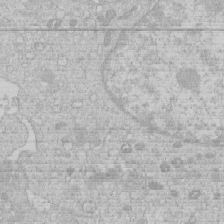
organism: Human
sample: Macrophage cells